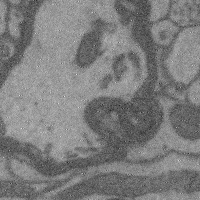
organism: Mouse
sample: Cerebral cortex